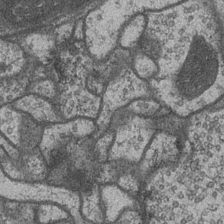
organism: Drosophila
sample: Optic medulla